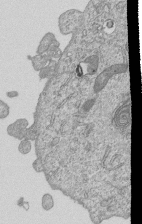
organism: Human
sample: MDA-MB-231 cells